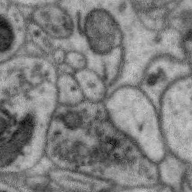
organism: Zebra finch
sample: Brain